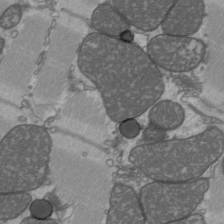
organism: C57BL Mouse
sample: Heart